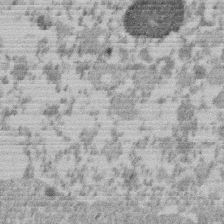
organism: Mouse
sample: Dividing mouse embryo 1 cell stage